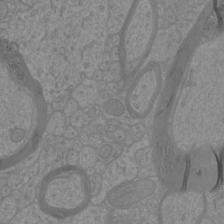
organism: Mouse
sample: Cortical neurons